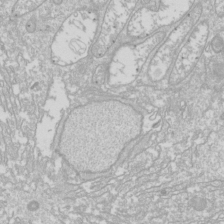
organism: Drosophila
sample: Cell division; meiosis; drosophila spermatocytes